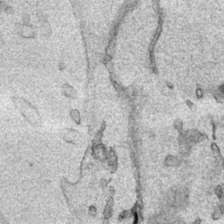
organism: Human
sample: Mitochondria in HCT116 cells